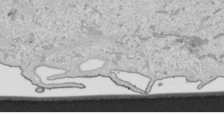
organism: Human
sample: Mitochondria in HCT116 cells